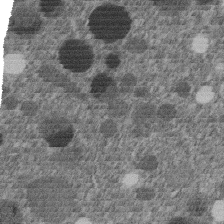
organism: C. elegans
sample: C. elegans embryo early stage